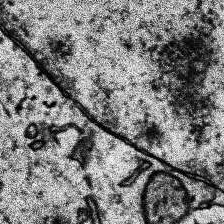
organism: Human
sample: Temporal Lobe